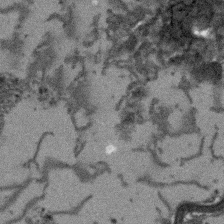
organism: Arabidopsis thaliana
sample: Root tip